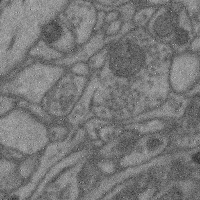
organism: Mouse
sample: Cerebral cortex